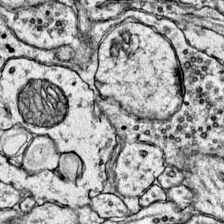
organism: Mouse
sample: Primary visual cortex